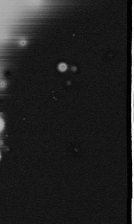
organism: Mouse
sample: Cancer cell death in ED-1 cells